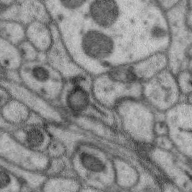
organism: Zebra finch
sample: Brain